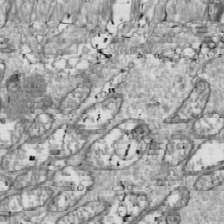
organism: Drosophila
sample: Cell division; meiosis; drosophila spermatocytes